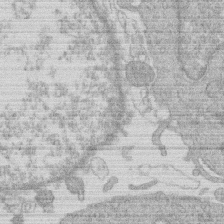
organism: Human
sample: Macrophage cells